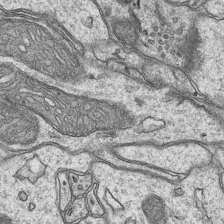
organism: Mouse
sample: CA1 Hippocampus